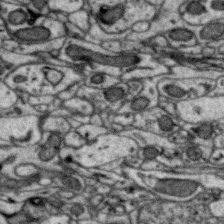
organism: Zebra finch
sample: Brain